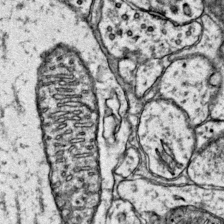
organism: Mouse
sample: Primary visual cortex